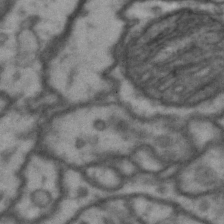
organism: Drosophila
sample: Brain